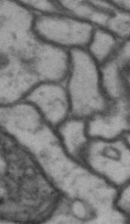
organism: Drosophila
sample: Brain